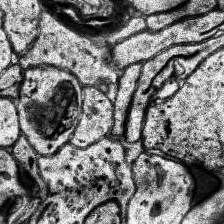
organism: Human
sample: Temporal Lobe